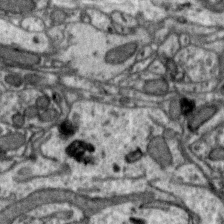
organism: Zebra finch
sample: Brain